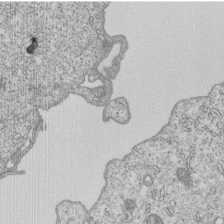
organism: Human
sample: MDA-MB-231 cells